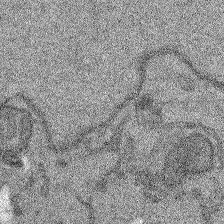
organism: Human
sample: HeLa cells